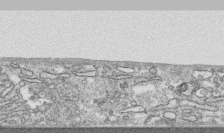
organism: Human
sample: CRL-1474